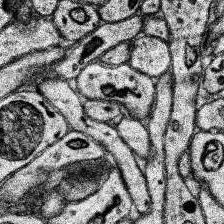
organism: Human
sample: Temporal Lobe